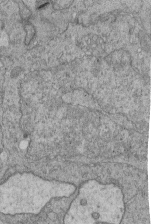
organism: Human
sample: Retinal organoid Rod and Cone cells